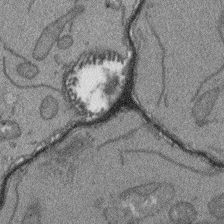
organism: Arabidopsis thaliana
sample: Root tip